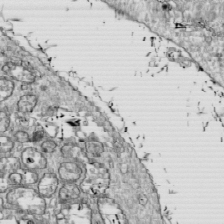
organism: Drosophila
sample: Cell division; meiosis; drosophila spermatocytes